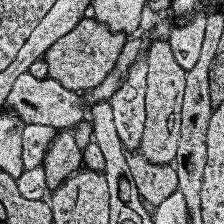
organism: Human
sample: Temporal Lobe